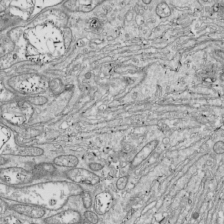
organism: Drosophila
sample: Cell division; meiosis; drosophila spermatocytes